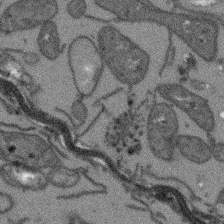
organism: Arabidopsis thaliana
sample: Root tip